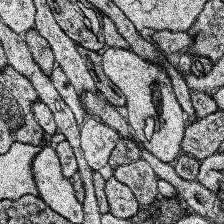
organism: Human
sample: Temporal Lobe